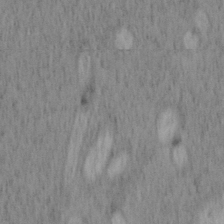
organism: Mouse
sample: OT-I killer T cells with ID8 ovarian cancer cells